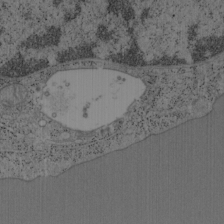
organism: Mouse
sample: OT-I killer T cells with ID8 ovarian cancer cells